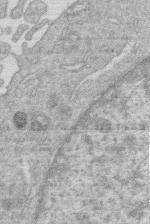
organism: Human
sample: Macrophage cells